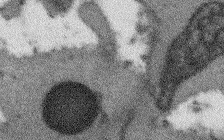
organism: Arabidopsis thaliana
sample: Root tip